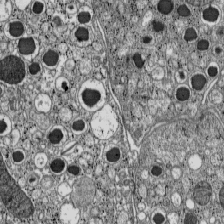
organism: C57BL Mouse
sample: Pancreatic islet